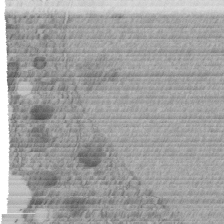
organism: C. elegans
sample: C. elegans embryo early stage